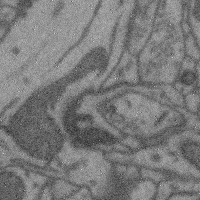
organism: Mouse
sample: Cerebral cortex